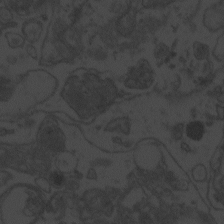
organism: Zebrafish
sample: Macrophage infected with Toxoplasma gondii